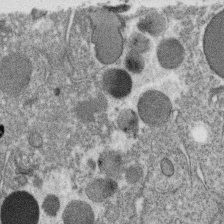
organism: C. elegans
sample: C. elegans oocyte; sperm cells